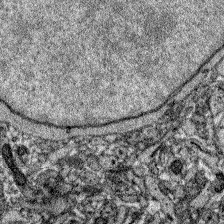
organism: Zebrafish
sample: Larval olfactory bulb